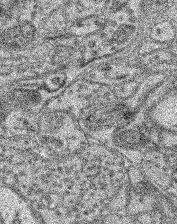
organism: Mouse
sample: Retina